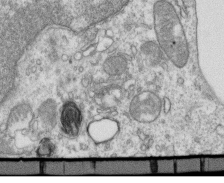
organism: Mouse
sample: Activated OT-1 CD8+ T cells